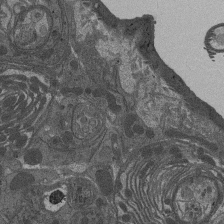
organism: Drosophila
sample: Antenna